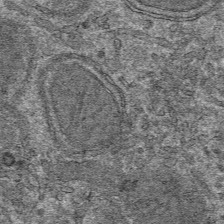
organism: Mouse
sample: Mouse hepatocytes